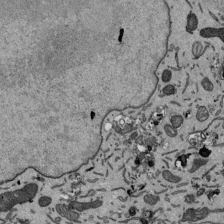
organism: Mouse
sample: ED-1 cell nuclei; centrioles